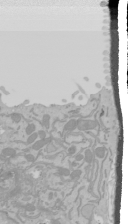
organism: Mouse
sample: Cancer cell death in ED-1 cells